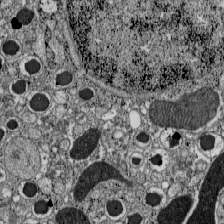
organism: C57BL Mouse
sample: Pancreatic islet